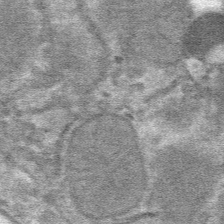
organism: Mouse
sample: Mouse hepatocytes